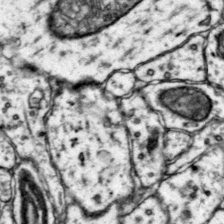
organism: Mouse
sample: Primary visual cortex